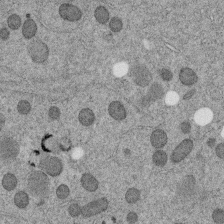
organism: C. elegans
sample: C. elegans embryo early stage